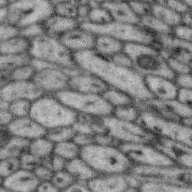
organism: Zebra finch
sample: Brain